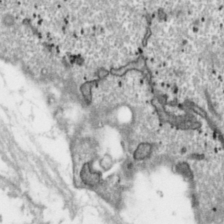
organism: Toxoplasma gondii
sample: Parasites in a vacuole inside a host cell